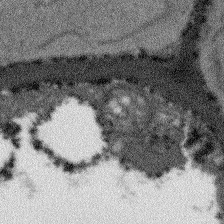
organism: Arabidopsis thaliana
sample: Root tip